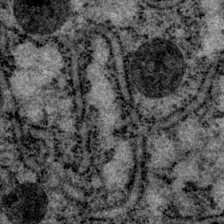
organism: P. pacificus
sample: Pharynx